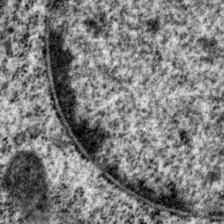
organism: P. pacificus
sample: Pharynx